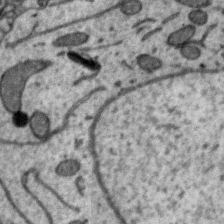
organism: Zebra finch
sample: Brain